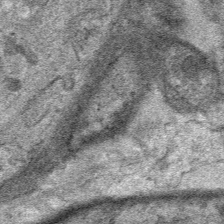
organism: Mouse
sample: Mouse Salivary gland